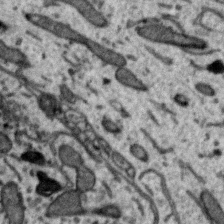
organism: Zebra finch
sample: Brain